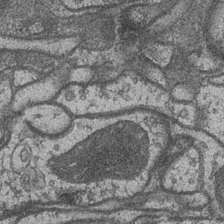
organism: Drosophila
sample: Optic medulla